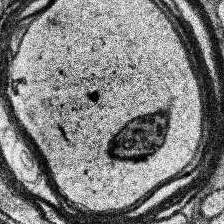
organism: Human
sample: Temporal Lobe